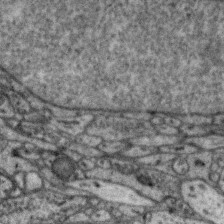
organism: Zebra finch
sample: Brain